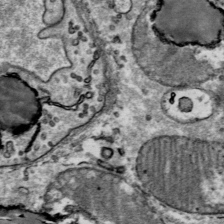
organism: Mouse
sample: Mouse Salivary gland